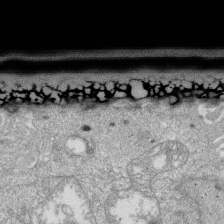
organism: Human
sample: HeLa cell HIV synapse